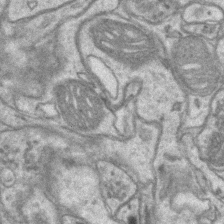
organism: Mouse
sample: CA1 Hippocampus